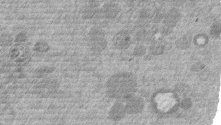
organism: Mouse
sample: Dividing mouse embryo 1 cell stage